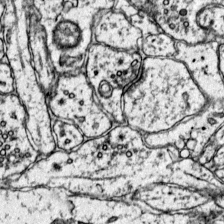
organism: Mouse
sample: Primary visual cortex